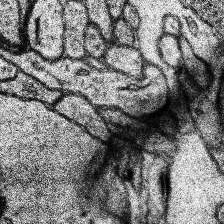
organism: Human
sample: Temporal Lobe